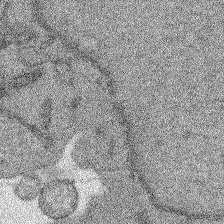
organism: Human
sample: HeLa cells